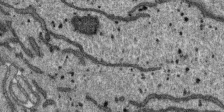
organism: Human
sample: Lung epithelial cells, uninfected (mock) control